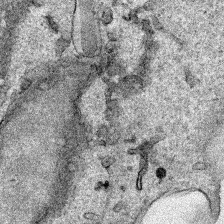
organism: Human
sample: Mitochondria in HCT116 cells